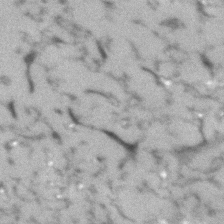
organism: Human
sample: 1205lu cells